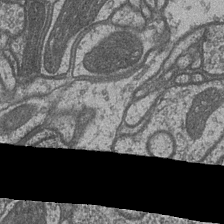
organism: Drosophila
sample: Optic medulla